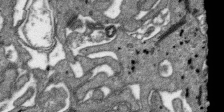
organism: Human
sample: Lung epithelial cells, uninfected (mock) control